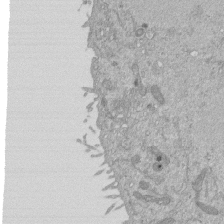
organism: Mouse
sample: ED-1 cell nuclei; centrioles